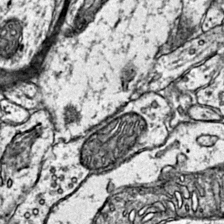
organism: Mouse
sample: Primary visual cortex